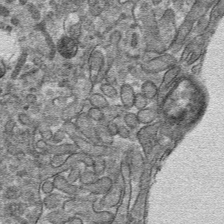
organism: Mouse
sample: Mouse hepatocytes